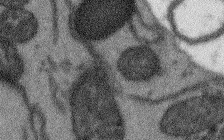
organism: Arabidopsis thaliana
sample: Root tip